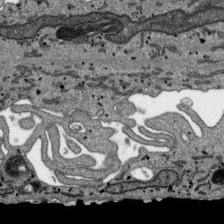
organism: Human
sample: Lung epithelial cells, uninfected (mock) control